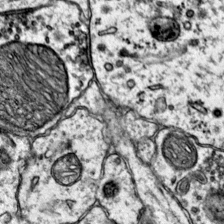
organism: Mouse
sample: Primary visual cortex